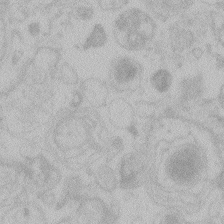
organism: Zebrafish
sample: Macrophage infected with Toxoplasma gondii